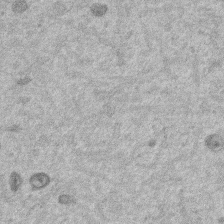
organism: Mouse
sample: Dividing mouse embryo 1 cell stage